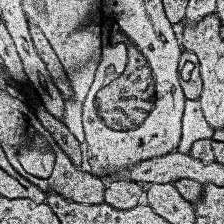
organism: Human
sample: Temporal Lobe